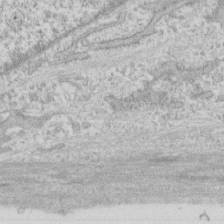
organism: Human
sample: CRL-1474